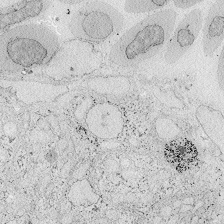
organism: Zebrafish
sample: Whole-Brain